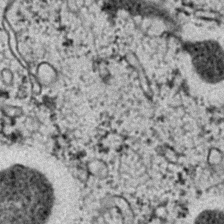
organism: C. elegans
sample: C. elegans embryo